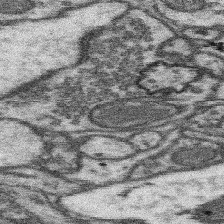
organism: Mouse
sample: Somatosensory cortex neuropil